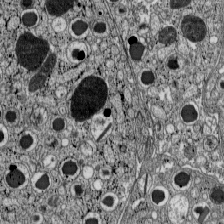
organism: C57BL Mouse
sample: Pancreatic islet